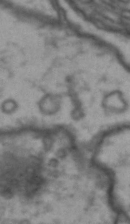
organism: Drosophila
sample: Brain